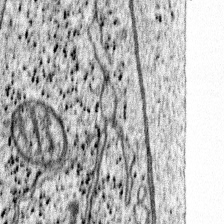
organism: Human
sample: HeLa cells